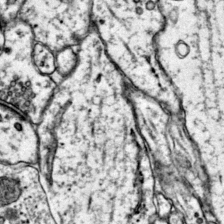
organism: Mouse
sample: Primary visual cortex